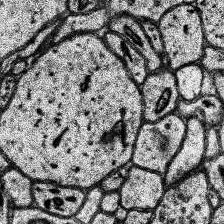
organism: Human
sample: Temporal Lobe